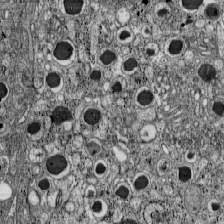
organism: C57BL Mouse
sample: Pancreatic islet